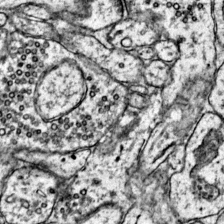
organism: Mouse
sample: Primary visual cortex